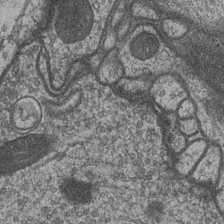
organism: Drosophila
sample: Optic medulla